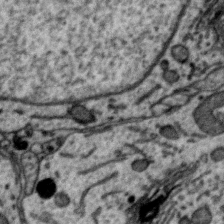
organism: Zebra finch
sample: Brain